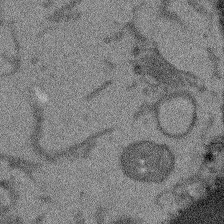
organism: Arabidopsis thaliana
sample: Root tip